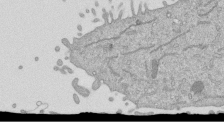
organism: Mouse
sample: ED-1 cell nuclei; centrioles